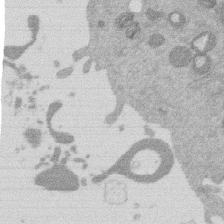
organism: Mouse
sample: Dividing mouse embryo 1 cell stage